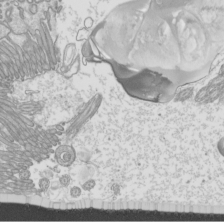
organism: Mouse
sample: Cilia; mouse epididymis